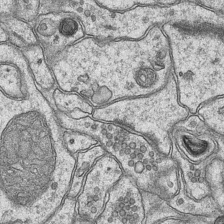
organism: Mouse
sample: CA1 Hippocampus